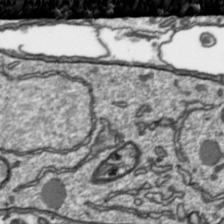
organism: Toxoplasma gondii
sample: Parasites in a vacuole inside a host cell